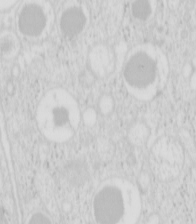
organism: Mouse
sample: Pancreas